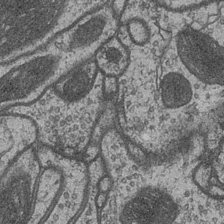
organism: Drosophila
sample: Optic medulla